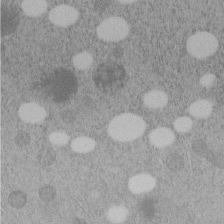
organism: C. elegans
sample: C. elegans embryo early stage